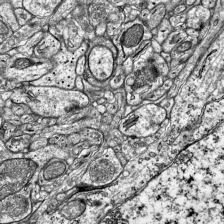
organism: Mouse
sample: Visual Cortex